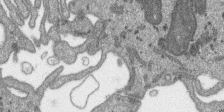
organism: Human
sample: Lung epithelial cells infected with SARS-CoV-2